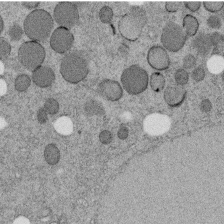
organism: C. elegans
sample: C. elegans embryo early stage